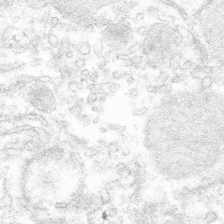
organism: Mouse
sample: Mouse hepatocytes